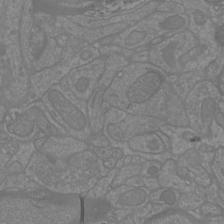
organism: Mouse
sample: Cortical neurons